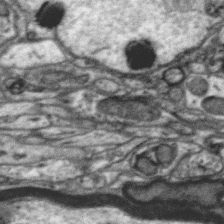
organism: Zebra finch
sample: Brain